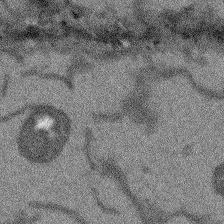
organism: Arabidopsis thaliana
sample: Root tip